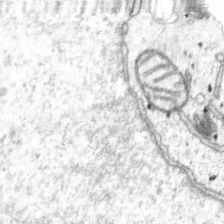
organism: Human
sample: HeLa cells